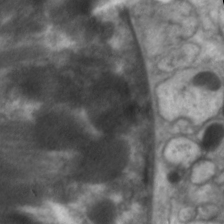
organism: C. elegans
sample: Pharynx